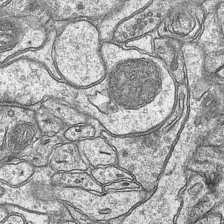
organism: Mouse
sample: CA1 Hippocampus